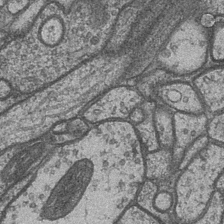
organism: Drosophila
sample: Optic medulla